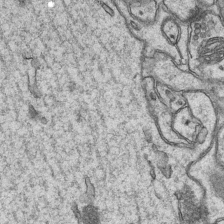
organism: Mouse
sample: CA1 Hippocampus